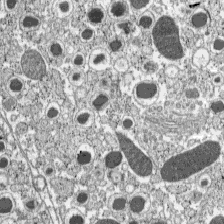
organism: C57BL Mouse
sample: Pancreatic islet